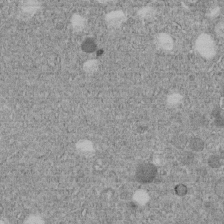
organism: C. elegans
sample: C. elegans embryo early stage